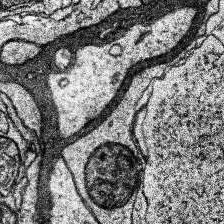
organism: Human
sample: Temporal Lobe